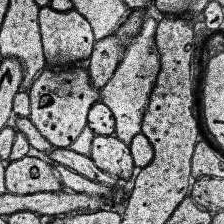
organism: Human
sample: Temporal Lobe